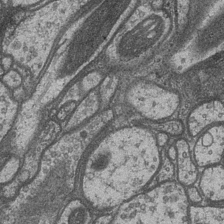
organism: Drosophila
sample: Optic medulla